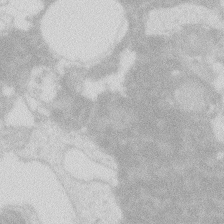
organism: Zebrafish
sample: Macrophage